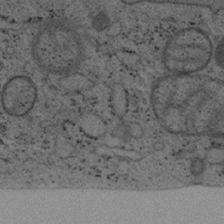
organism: Human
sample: HeLa cells